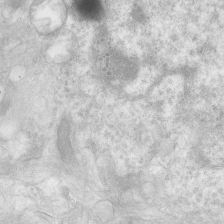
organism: Human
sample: Neocortex